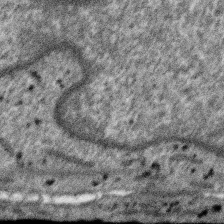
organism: Human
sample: Lung epithelial cells infected with SARS-CoV-2